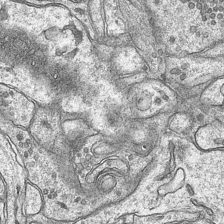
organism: Mouse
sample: CA1 Hippocampus